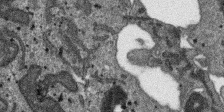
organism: Human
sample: Lung epithelial cells infected with SARS-CoV-2